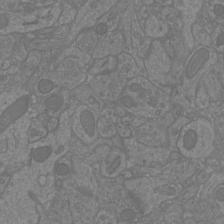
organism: Mouse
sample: Cortical neurons